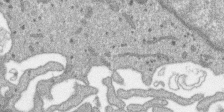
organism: Human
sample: Lung epithelial cells infected with SARS-CoV-2